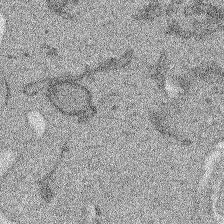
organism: Human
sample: HeLa cells